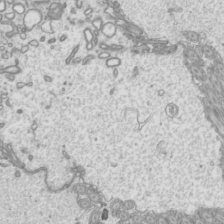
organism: Mouse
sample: Cilia; mouse epididymis